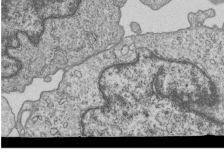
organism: Human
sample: MDA-MB-231 cells